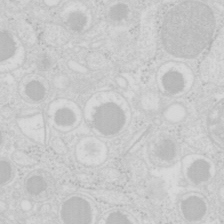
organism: Mouse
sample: Pancreas